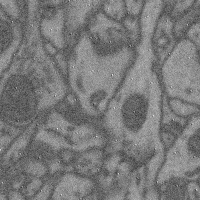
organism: Mouse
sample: Cerebral cortex